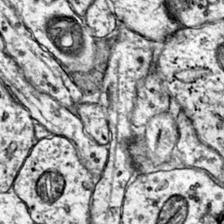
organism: Mouse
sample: Primary visual cortex